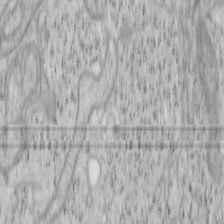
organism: Human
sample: HeLa cells